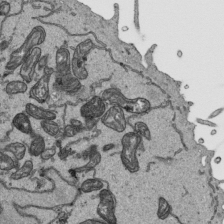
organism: Human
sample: Mitochondria in HCT116 cells